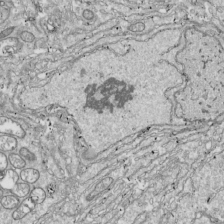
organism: Drosophila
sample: Cell division; meiosis; drosophila spermatocytes